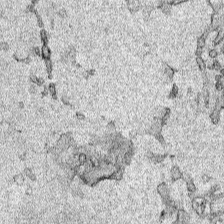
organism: Human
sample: Mitochondria in HCT116 cells